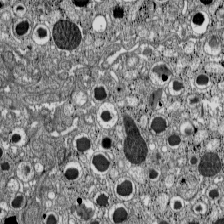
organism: C57BL Mouse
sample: Pancreatic islet